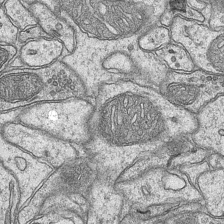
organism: Mouse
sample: CA1 Hippocampus